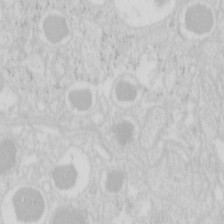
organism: Mouse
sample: Pancreas